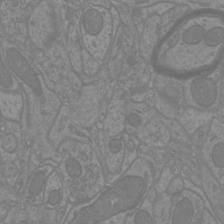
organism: Mouse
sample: Cortical neurons